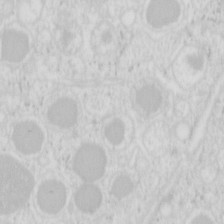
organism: Mouse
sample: Pancreas